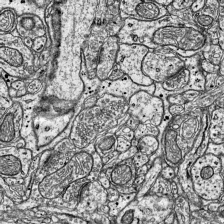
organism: Mouse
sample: Visual Cortex